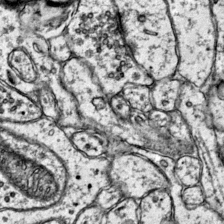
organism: Mouse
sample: Primary visual cortex